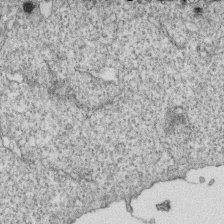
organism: Human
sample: HeLa cell HIV synapse